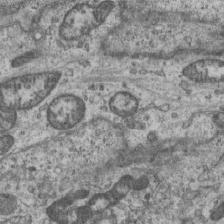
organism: Mouse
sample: Centriole in ependymal cells